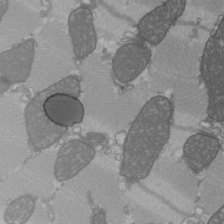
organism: C57BL Mouse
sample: Heart